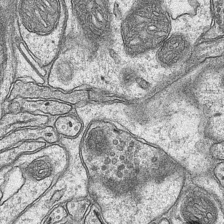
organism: Mouse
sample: CA1 Hippocampus